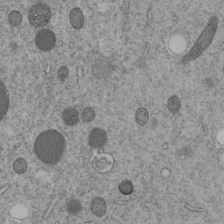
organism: C. elegans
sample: C. elegans embryo early stage